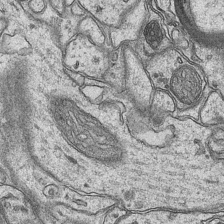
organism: Mouse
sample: CA1 Hippocampus